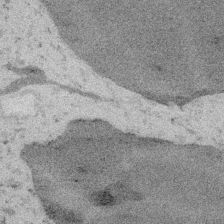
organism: Embia sp.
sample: Silk gland